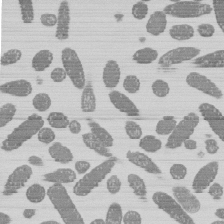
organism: E. coli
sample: Bacterial nucleoid